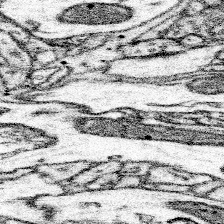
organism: Mouse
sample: Somatosensory cortex neuropil